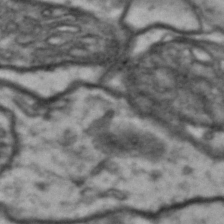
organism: Drosophila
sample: Brain